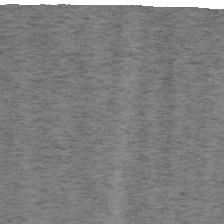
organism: Mouse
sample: OT-I killer T cells with ID8 ovarian cancer cells